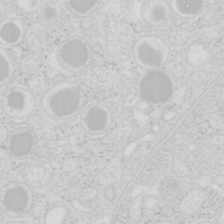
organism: Mouse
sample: Pancreas